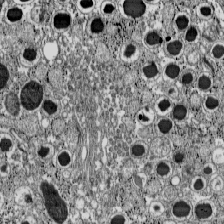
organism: C57BL Mouse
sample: Pancreatic islet